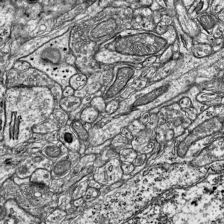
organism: Mouse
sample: Visual Cortex